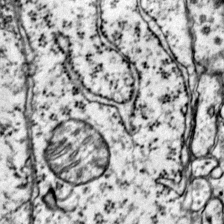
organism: Mouse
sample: Primary visual cortex